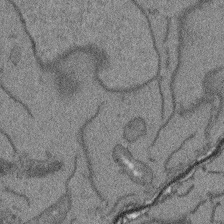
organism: Arabidopsis thaliana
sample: Root tip